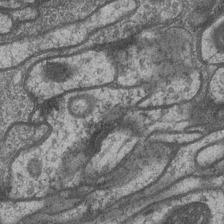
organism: Drosophila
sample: Optic medulla